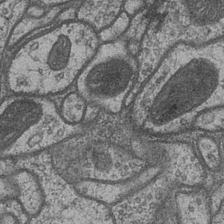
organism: Drosophila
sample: Optic medulla